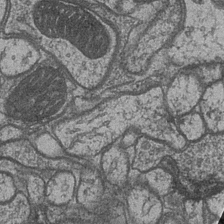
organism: Drosophila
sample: Optic medulla